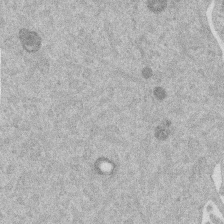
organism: Mouse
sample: Dividing mouse embryo 1 cell stage